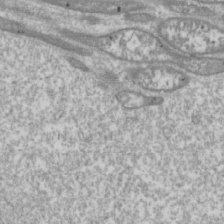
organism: Drosophila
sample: Cell division; meiosis; drosophila spermatocytes